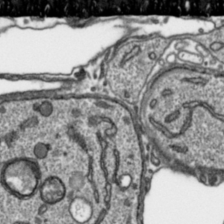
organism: Toxoplasma gondii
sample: Parasites in a vacuole inside a host cell